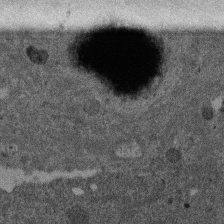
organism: Mouse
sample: Dividing mouse embryo 1 cell stage